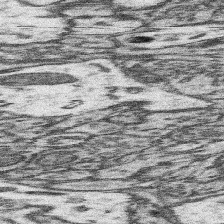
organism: Mouse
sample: Somatosensory cortex neuropil